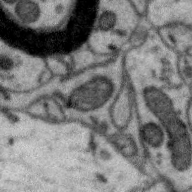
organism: Zebra finch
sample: Brain